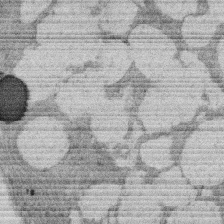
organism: Rat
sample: Salivary granule